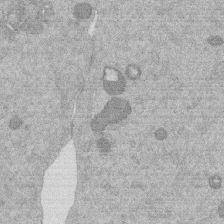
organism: Mouse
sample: Dividing mouse embryo 1 cell stage